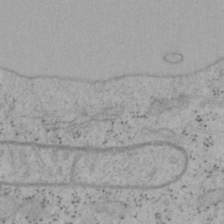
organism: Human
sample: HeLa cells